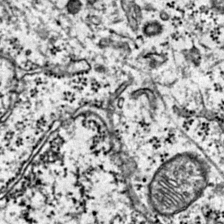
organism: Mouse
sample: Primary visual cortex